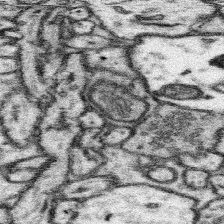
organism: Mouse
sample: Somatosensory cortex neuropil